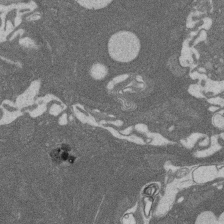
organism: Rat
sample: Salivary granule